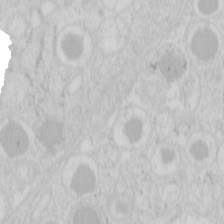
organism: Mouse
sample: Pancreas